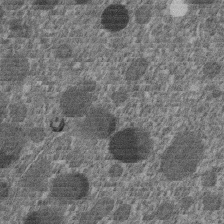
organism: C. elegans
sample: C. elegans embryo early stage